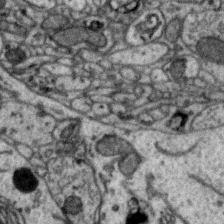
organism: Zebra finch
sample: Brain